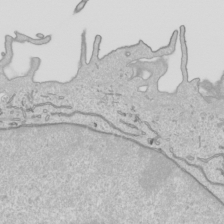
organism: Human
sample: Mitochondria in HCT116 cells